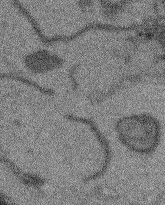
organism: Arabidopsis thaliana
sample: Root tip